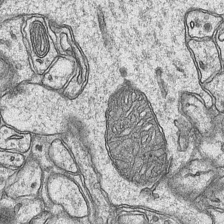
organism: Mouse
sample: CA1 Hippocampus